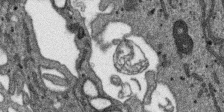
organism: Human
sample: Lung epithelial cells infected with SARS-CoV-2